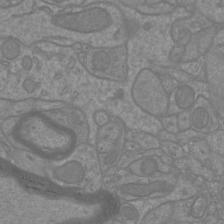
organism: Mouse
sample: Cortical neurons